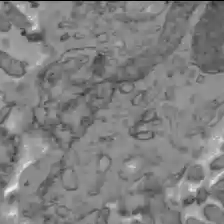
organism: C57BL Mouse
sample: Liver